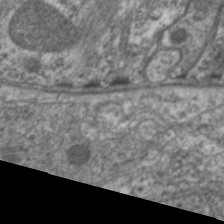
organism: C. elegans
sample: Pharynx